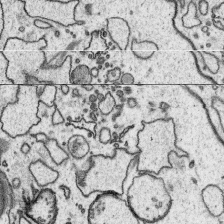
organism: Platynereis dumerilii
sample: Parapodia